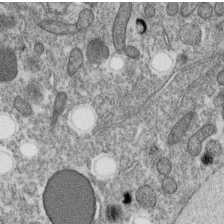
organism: C. elegans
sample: C. elegans oocyte; sperm cells